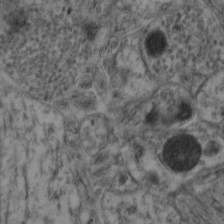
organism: Mouse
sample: Neocortex